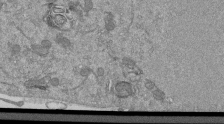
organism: Mouse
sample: ED-1 cell nuclei; centrioles